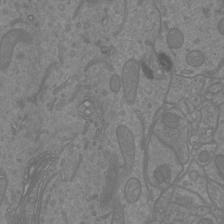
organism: Mouse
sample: Cortical neurons